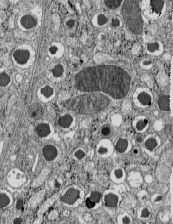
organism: C57BL Mouse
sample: Pancreatic islet